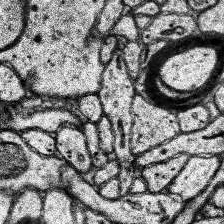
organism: Human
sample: Temporal Lobe